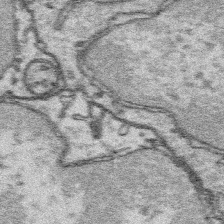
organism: Platynereis dumerilii